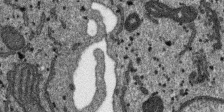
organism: Human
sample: Lung epithelial cells infected with SARS-CoV-2